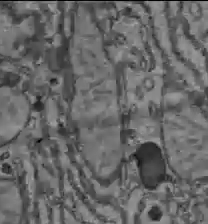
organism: C57BL Mouse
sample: Liver